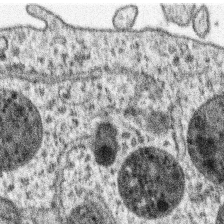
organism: Human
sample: HeLa cells